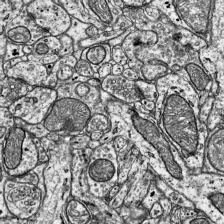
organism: Mouse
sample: Visual Cortex